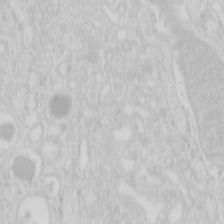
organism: Mouse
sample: Pancreas